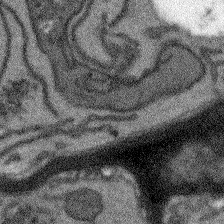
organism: Arabidopsis thaliana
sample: Root tip